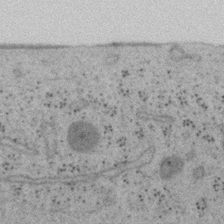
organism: Human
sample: HeLa cells